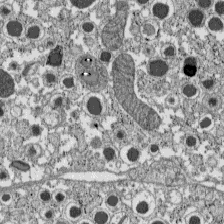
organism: C57BL Mouse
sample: Pancreatic islet